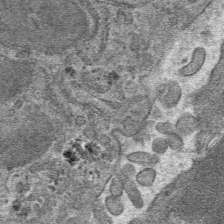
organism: Mouse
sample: Mouse hepatocytes